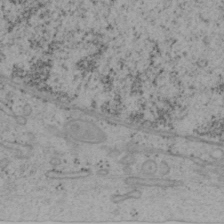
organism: Human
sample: HeLa cells